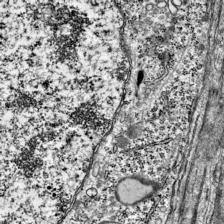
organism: Mouse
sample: Visual Cortex